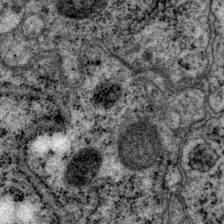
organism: P. pacificus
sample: Pharynx